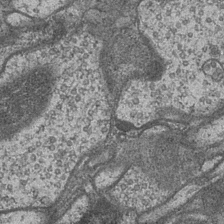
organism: Drosophila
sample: Optic medulla